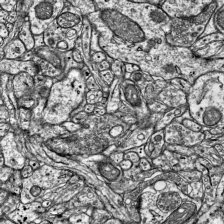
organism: Mouse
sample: Visual Cortex